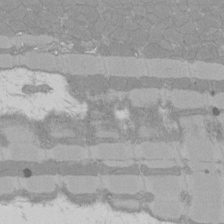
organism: Rat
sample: Left ventricle